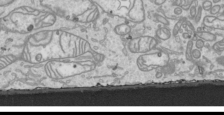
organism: Human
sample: Mitochondria in HCT116 cells